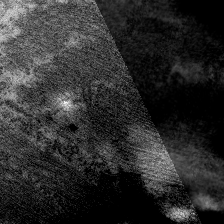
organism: C. elegans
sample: Pharynx